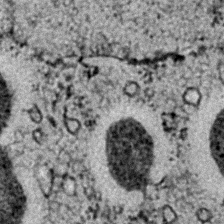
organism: C. elegans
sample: C. elegans embryo